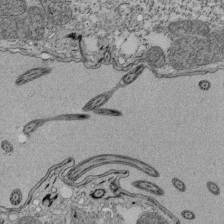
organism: Tetrahymena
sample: Cilia in tetrahymena